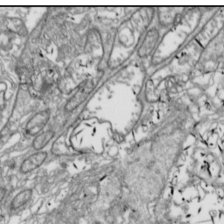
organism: Drosophila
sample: Cell division; meiosis; drosophila spermatocytes